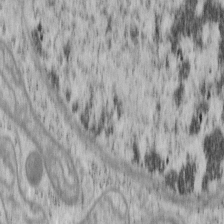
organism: Human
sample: HeLa cells